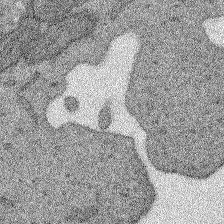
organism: Human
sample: HeLa cells